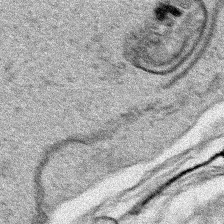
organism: Human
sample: Mitochondria in HCT116 cells